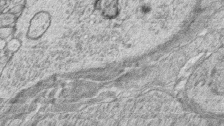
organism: Zebrafish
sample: synaptic ribbons in rod cells and cone cells